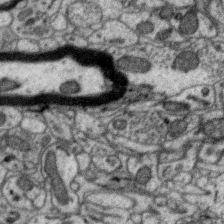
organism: Zebra finch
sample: Brain